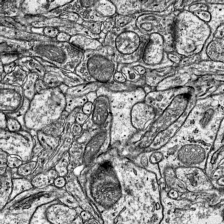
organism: Mouse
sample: Visual Cortex